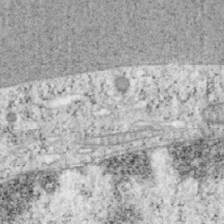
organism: Mouse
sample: OT-I killer T cells with ID8 ovarian cancer cells